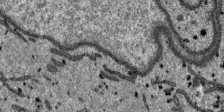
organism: Human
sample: Lung epithelial cells, uninfected (mock) control